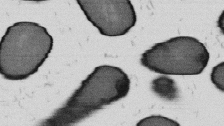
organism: B. subtilis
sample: Bacterial spore